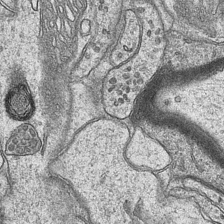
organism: Mouse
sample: CA1 Hippocampus